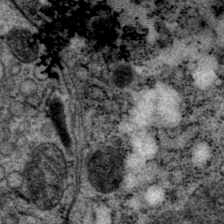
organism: P. pacificus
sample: Pharynx